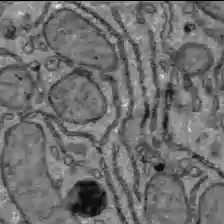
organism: C57BL Mouse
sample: Liver